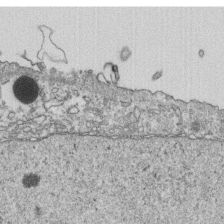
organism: Human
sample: HeLa cell HIV synapse